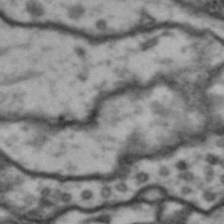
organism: Drosophila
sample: Brain